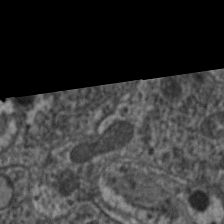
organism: C. elegans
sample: Pharynx